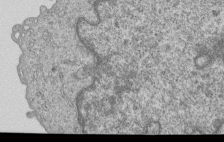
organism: Human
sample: MDA-MB-231 cells